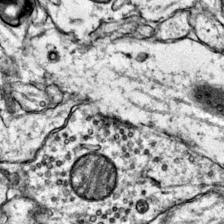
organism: Mouse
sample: Primary visual cortex